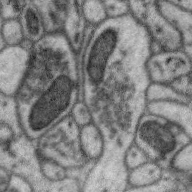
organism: Zebra finch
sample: Brain